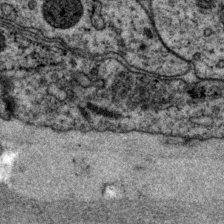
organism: P. pacificus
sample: Pharynx